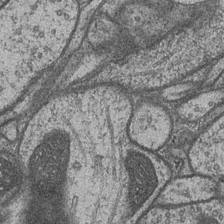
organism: Drosophila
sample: Optic medulla